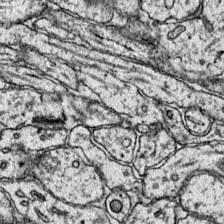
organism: Mouse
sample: Primary visual cortex